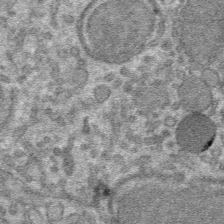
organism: Mouse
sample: Mouse hepatocytes